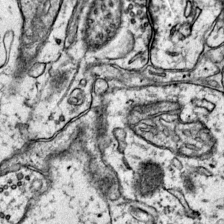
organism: Mouse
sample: Primary visual cortex